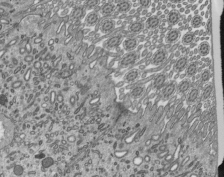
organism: Mouse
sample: Mouse epididymis efferent ductule cilia